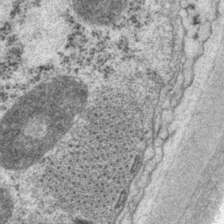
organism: P. pacificus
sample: Pharynx